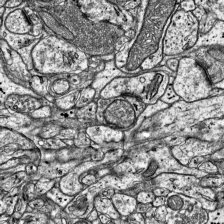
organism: Mouse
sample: Visual Cortex